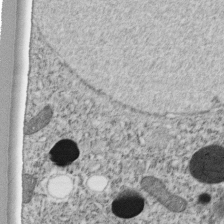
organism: C. elegans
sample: C. elegans embryo early stage